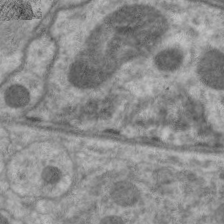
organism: C. elegans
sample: Pharynx